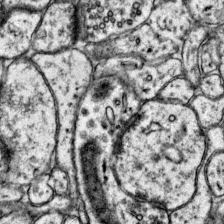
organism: Mouse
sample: Primary visual cortex